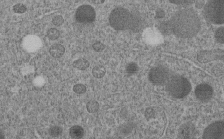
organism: C. elegans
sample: C. elegans embryo early stage